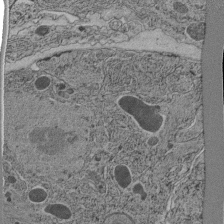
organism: C. elegans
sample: C. elegans pharynx